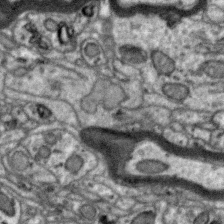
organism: Zebra finch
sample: Brain